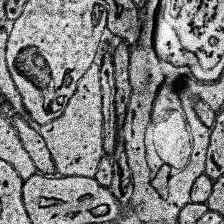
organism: Human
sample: Temporal Lobe